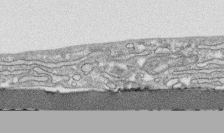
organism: Human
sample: CRL-1474